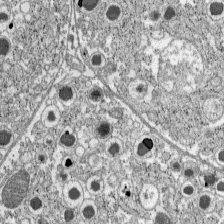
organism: C57BL Mouse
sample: Pancreatic islet